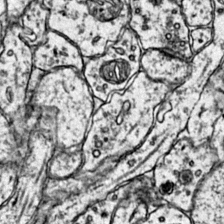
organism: Mouse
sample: Primary visual cortex